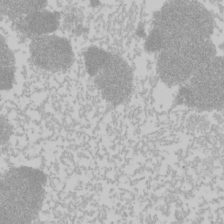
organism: Mouse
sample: Cancer cell death in ED-1 cells